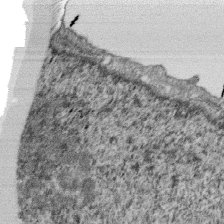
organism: African green monkey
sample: Vero E6 cells infected with SARS-CoV-2